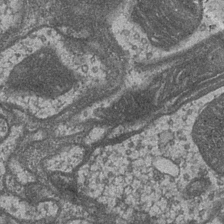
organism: Drosophila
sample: Optic medulla